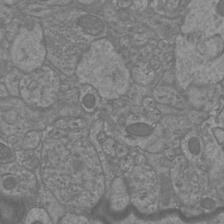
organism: Mouse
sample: Cortical neurons